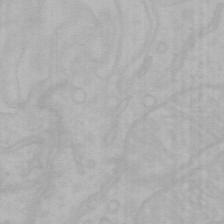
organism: Mouse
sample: Choroid plexus